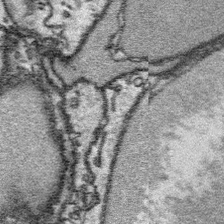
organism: Platynereis dumerilii